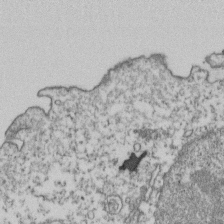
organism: Human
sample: Activated Jurkat CD4+ T cells